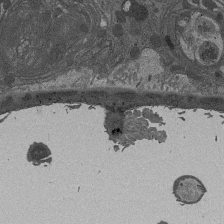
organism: Drosophila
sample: Antenna